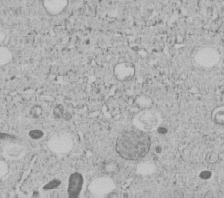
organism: C. elegans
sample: C. elegans embryo early stage